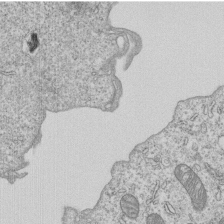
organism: Human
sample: MDA-MB-231 cells